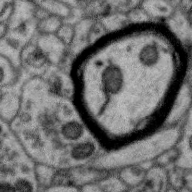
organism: Zebra finch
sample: Brain